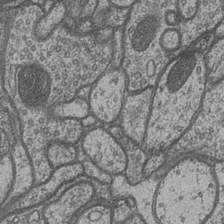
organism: Drosophila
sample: Optic medulla